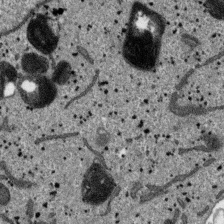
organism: Human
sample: Lung epithelial cells, uninfected (mock) control